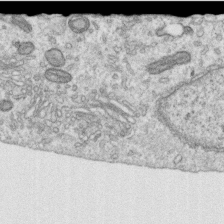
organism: Human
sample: Centriole in RPE cells